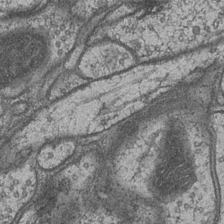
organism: Drosophila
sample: Optic medulla